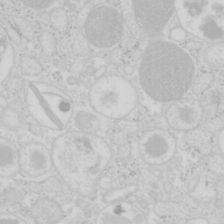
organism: Mouse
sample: Pancreas